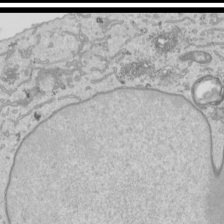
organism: Human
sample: Mitochondria in HCT116 cells